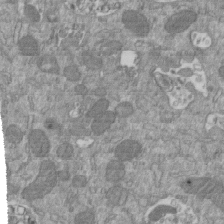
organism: Mouse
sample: ED-1 cell nuclei; centrioles